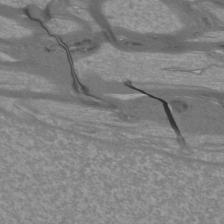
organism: Mouse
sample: Cortical neurons